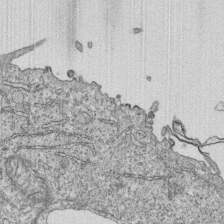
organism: Human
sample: HeLa cell HIV synapse